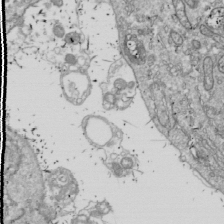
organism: Drosophila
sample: Cell division; meiosis; drosophila spermatocytes